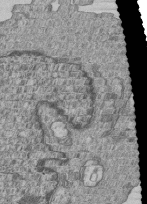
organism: Human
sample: MDA-MB-231 cells